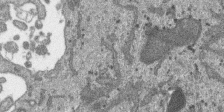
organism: Human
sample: Lung epithelial cells infected with SARS-CoV-2